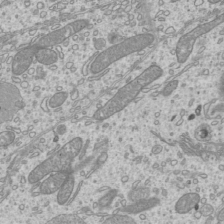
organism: Mouse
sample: Cilia; mouse epididymis